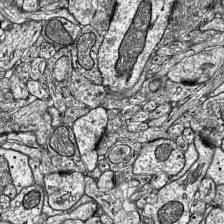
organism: Mouse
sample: Visual Cortex